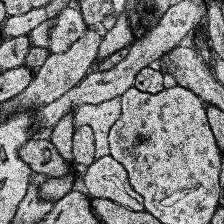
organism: Human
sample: Temporal Lobe